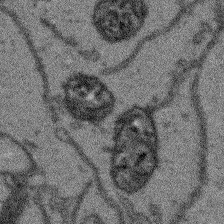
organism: Arabidopsis thaliana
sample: Root tip